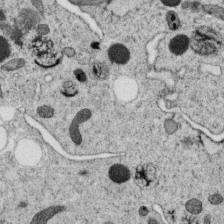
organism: C. elegans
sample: C. elegans oocyte; sperm cells